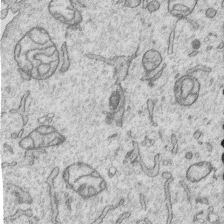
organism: Human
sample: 1205lu cells